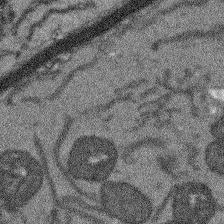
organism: Arabidopsis thaliana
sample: Root tip